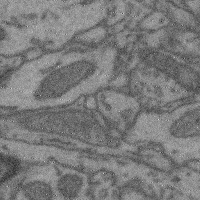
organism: Mouse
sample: Cerebral cortex